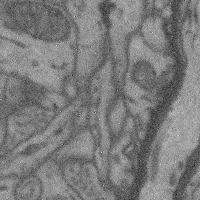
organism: Mouse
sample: Cerebral cortex